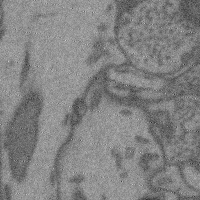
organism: Mouse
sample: Cerebral cortex